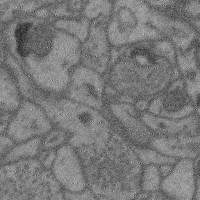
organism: Mouse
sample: Cerebral cortex